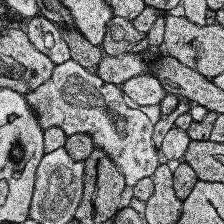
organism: Human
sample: Temporal Lobe